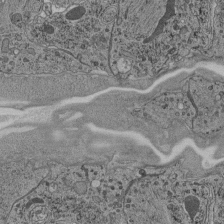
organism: C. elegans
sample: C. elegans pharynx